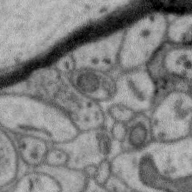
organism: Zebra finch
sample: Brain